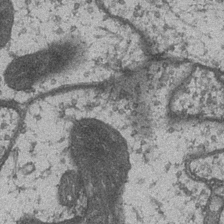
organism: Drosophila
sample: Optic medulla